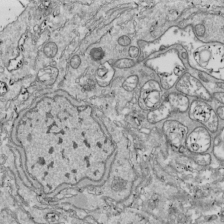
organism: Drosophila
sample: Cell division; meiosis; drosophila spermatocytes